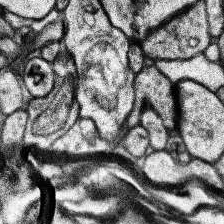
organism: Human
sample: Temporal Lobe